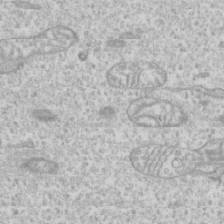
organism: Human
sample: CRL-1474